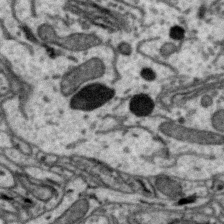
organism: Zebra finch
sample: Brain